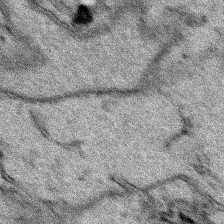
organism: Human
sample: Mitochondria in HCT116 cells